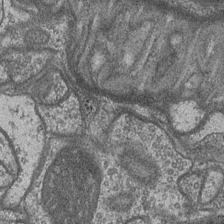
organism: Drosophila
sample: Optic medulla